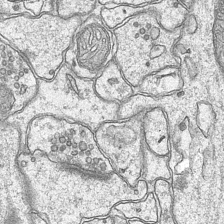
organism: Mouse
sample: CA1 Hippocampus